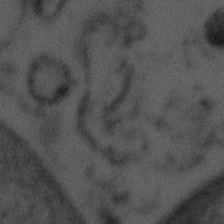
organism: Tuwongella immobilis